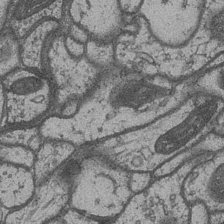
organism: Drosophila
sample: Optic medulla